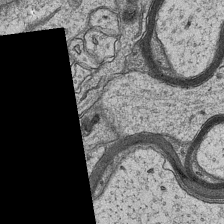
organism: Mouse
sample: CA1 Hippocampus